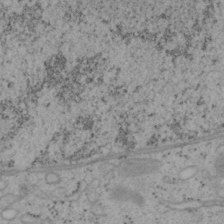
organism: Human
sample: HeLa cells